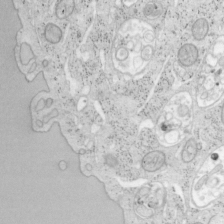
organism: Mouse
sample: OT-I killer T cells with ID8 ovarian cancer cells